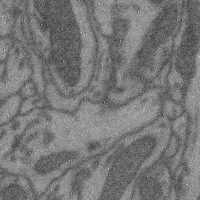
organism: Mouse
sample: Cerebral cortex